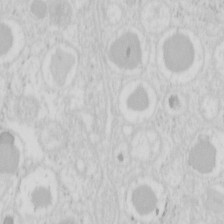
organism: Mouse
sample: Pancreas